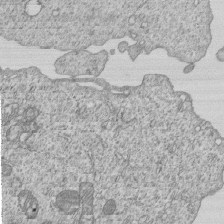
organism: Human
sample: MDA-MB-231 cells